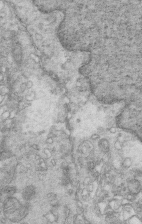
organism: Mouse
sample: Multiciliated cells